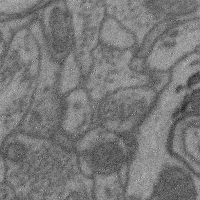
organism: Mouse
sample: Cerebral cortex